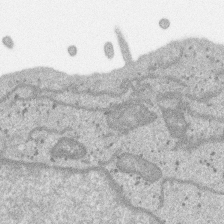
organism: Human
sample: Lung epithelial cells infected with SARS-CoV-2